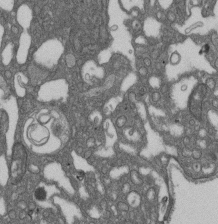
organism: Drosophila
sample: Nephrocyte